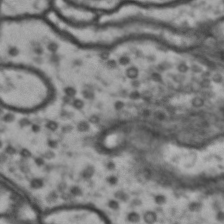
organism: Drosophila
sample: Brain